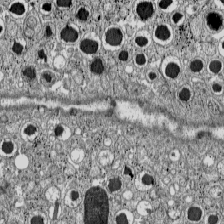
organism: C57BL Mouse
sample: Pancreatic islet